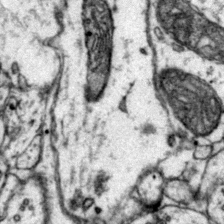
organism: Mouse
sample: Primary visual cortex